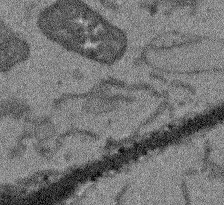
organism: Arabidopsis thaliana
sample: Root tip